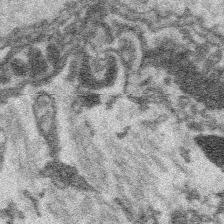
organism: Platynereis dumerilii